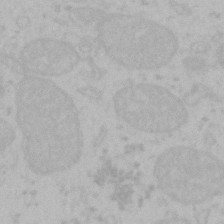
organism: Mouse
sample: Choroid plexus